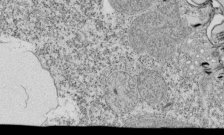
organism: Tetrahymena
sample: Cilia in tetrahymena